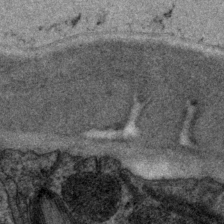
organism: P. pacificus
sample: Pharynx